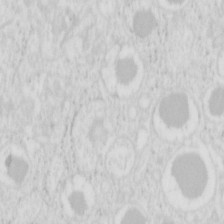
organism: Mouse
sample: Pancreas